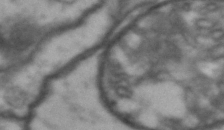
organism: Drosophila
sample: Brain